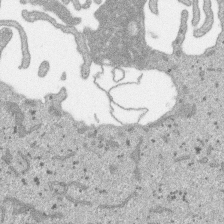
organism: Human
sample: Lung epithelial cells infected with SARS-CoV-2